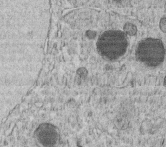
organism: C. elegans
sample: C. elegans embryo early stage